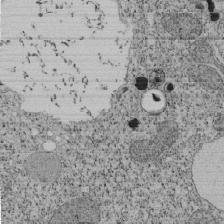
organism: Tetrahymena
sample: Cilia in tetrahymena